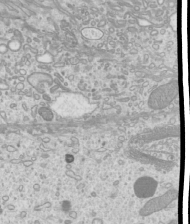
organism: Mouse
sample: Cilia; mouse epididymis